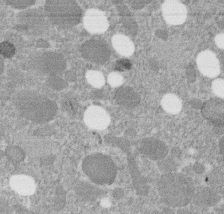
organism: C. elegans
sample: C. elegans embryo early stage